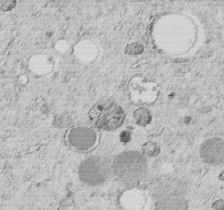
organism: C. elegans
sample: C. elegans embryo early stage